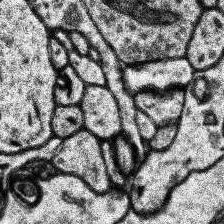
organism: Human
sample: Temporal Lobe